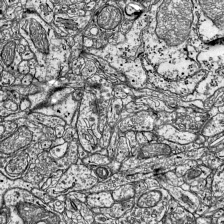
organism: Mouse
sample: Visual Cortex